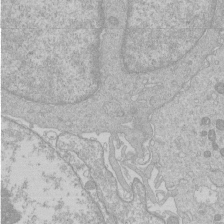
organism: Human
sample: Macrophage cells